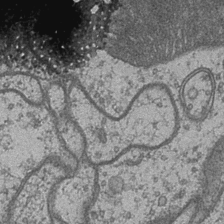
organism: Drosophila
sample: Optic medulla